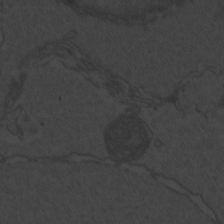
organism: Zebrafish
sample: Macrophage infected with Toxoplasma gondii